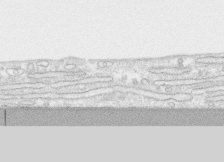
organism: Human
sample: CRL-1474